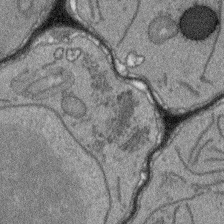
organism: Arabidopsis thaliana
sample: Root tip